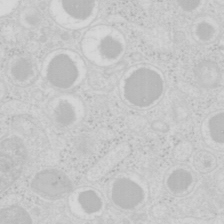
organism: Mouse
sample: Pancreas